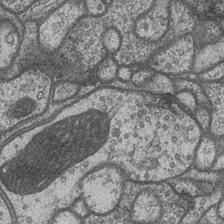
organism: Drosophila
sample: Optic medulla